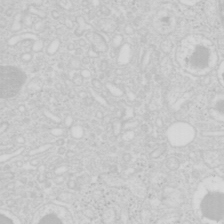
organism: Mouse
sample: Pancreas